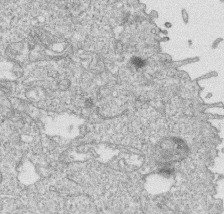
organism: Human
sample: HeLa cell HIV synapse